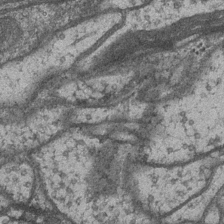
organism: Drosophila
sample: Optic medulla